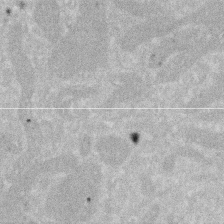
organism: Human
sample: HIV infected U937 cells